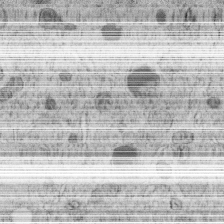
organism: C. elegans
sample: C. elegans embryo early stage